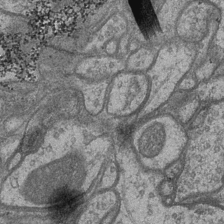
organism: Drosophila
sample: Optic medulla